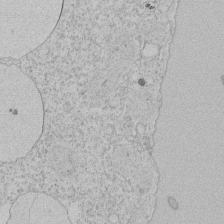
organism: Tetrahymena